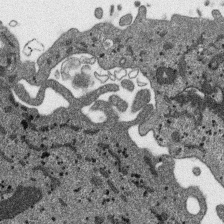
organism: Human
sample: Lung epithelial cells infected with SARS-CoV-2